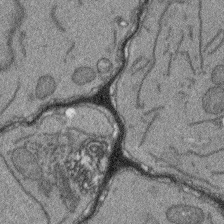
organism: Arabidopsis thaliana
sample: Root tip